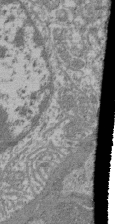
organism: Mouse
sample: Glomerulus